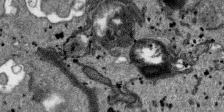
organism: Human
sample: Lung epithelial cells, uninfected (mock) control